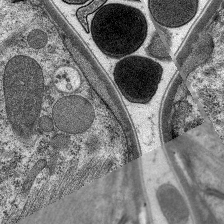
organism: C. elegans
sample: Pharynx